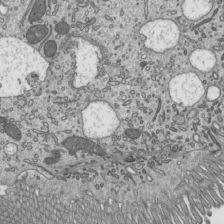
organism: Mouse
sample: Mouse epididymis efferent ductule cilia